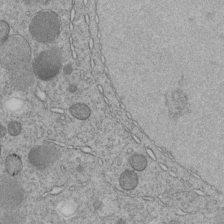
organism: C. elegans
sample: C. elegans embryo early stage